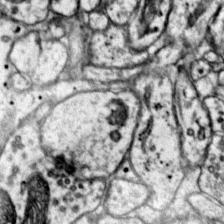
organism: Mouse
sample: Primary visual cortex